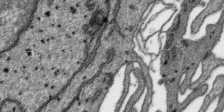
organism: Human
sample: Lung epithelial cells, uninfected (mock) control